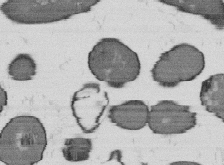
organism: B. subtilis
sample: Bacterial spore